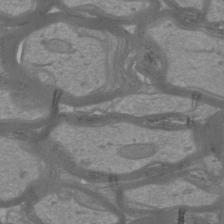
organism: Mouse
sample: Cortical neurons